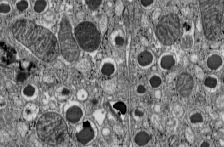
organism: C57BL Mouse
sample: Pancreatic islet